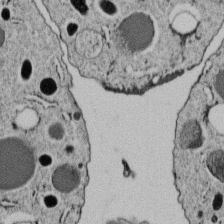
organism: C. elegans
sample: C. elegans embryo early stage